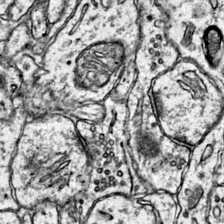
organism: Mouse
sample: Primary visual cortex